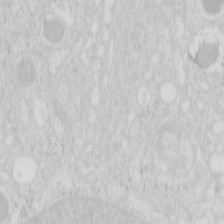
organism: Mouse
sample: Pancreas